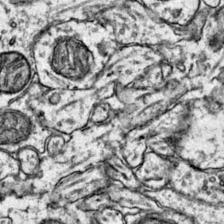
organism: Mouse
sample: Primary visual cortex